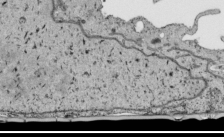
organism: Human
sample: Mitochondria in HCT116 cells